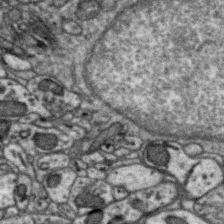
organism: Zebra finch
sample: Brain